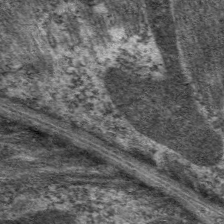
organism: C. elegans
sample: Pharynx